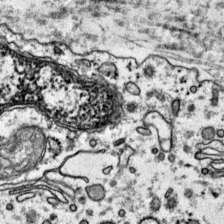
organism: Mouse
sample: Primary visual cortex